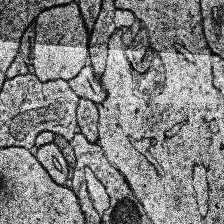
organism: Human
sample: Temporal Lobe